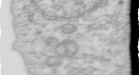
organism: Human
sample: Centriole in RPE cells